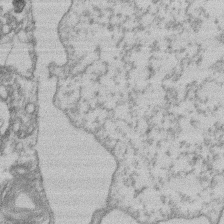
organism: Mouse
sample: T cell stromal cell synapse